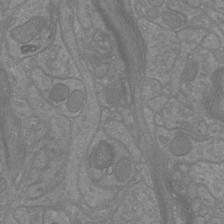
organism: Mouse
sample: Cortical neurons